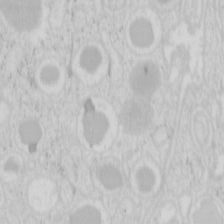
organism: Mouse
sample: Pancreas